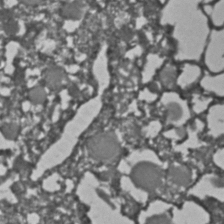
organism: C. elegans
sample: C. elegans embryo